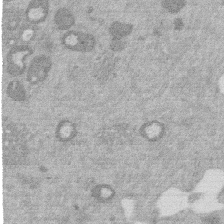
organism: Mouse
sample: Dividing mouse embryo 1 cell stage